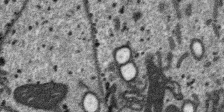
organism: Human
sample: Lung epithelial cells infected with SARS-CoV-2